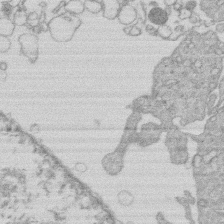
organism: Human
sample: Macrophage cells